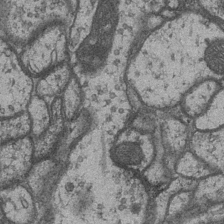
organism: Drosophila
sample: Optic medulla